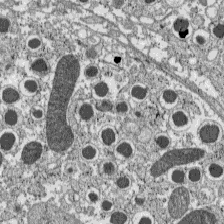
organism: C57BL Mouse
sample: Pancreatic islet